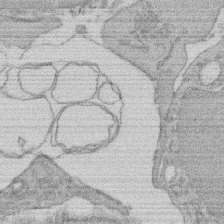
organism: Rat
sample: Salivary granule